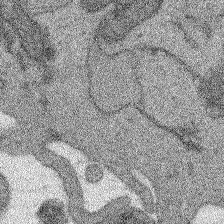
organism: Human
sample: HeLa cells